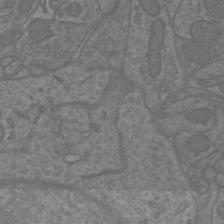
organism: Mouse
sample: Cortical neurons